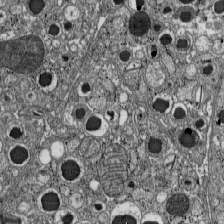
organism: C57BL Mouse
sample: Pancreatic islet